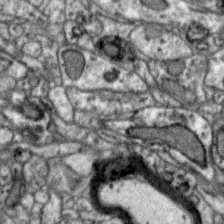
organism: Zebra finch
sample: Brain